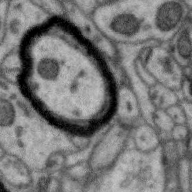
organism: Zebra finch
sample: Brain